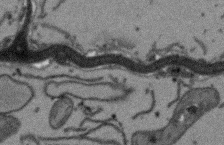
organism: Arabidopsis thaliana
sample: Root tip